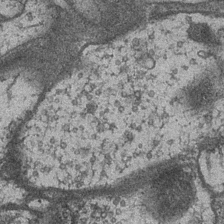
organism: Drosophila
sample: Optic medulla